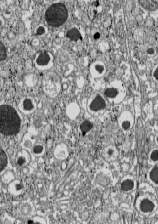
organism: C57BL Mouse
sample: Pancreatic islet